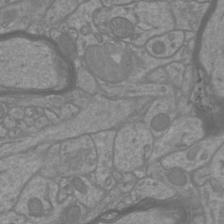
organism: Mouse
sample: Cortical neurons